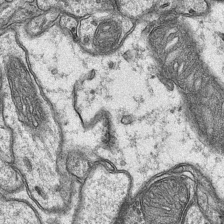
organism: Mouse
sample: CA1 Hippocampus